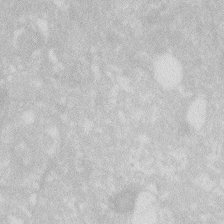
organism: Zebrafish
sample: Macrophage